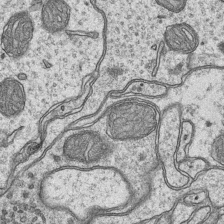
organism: Mouse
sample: CA1 Hippocampus